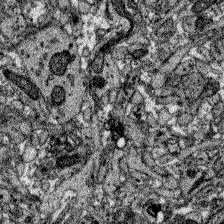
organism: Zebrafish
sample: Larval olfactory bulb